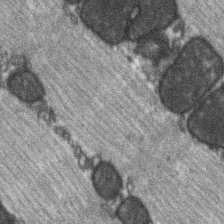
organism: C57BL Mouse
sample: Soleus